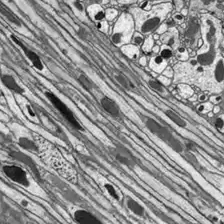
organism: Drosophila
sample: Optic lobe